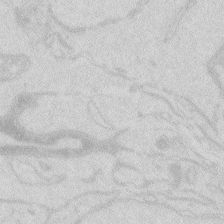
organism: Zebrafish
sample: Macrophage